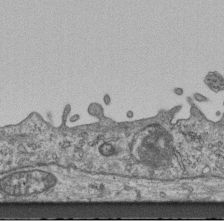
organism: Mouse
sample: Centriole in ependymal cells